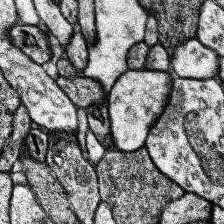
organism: Human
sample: Temporal Lobe